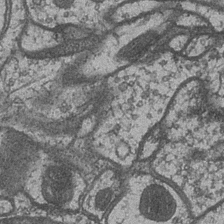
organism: Drosophila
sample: Optic medulla